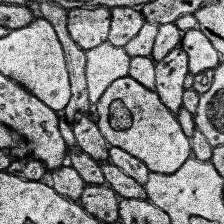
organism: Human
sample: Temporal Lobe